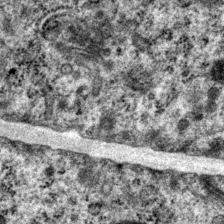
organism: P. pacificus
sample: Pharynx